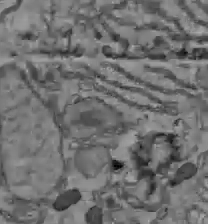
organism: C57BL Mouse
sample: Liver